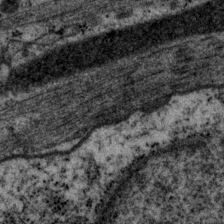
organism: P. pacificus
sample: Pharynx